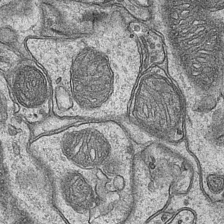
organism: Mouse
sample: CA1 Hippocampus